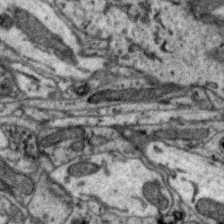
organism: Zebra finch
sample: Brain